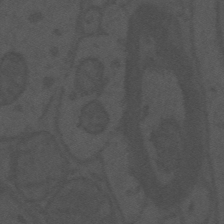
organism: Mouse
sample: Suprachiasmatic nucleus